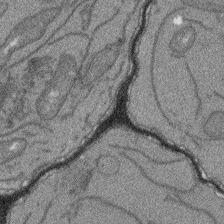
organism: Arabidopsis thaliana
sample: Root tip